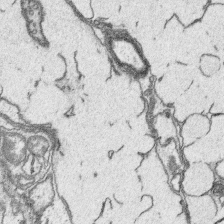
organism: Platynereis dumerilii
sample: Parapodia